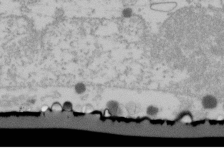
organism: Human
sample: U2-OS cells